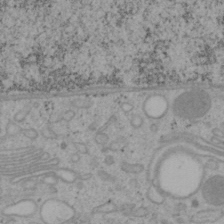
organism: Human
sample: HeLa cells